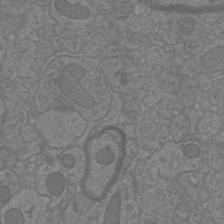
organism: Mouse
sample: Cortical neurons